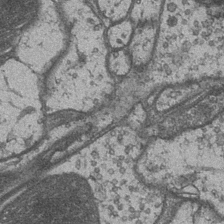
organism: Drosophila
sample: Optic medulla